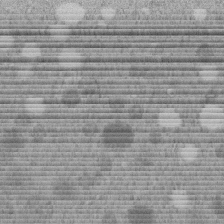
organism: C. elegans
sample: C. elegans embryo early stage